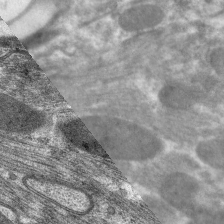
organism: C. elegans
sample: Pharynx